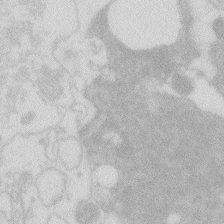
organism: Zebrafish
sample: Macrophage